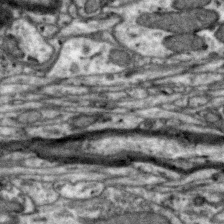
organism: Zebra finch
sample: Brain